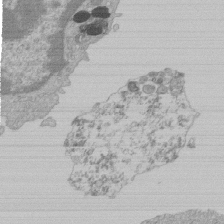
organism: Mouse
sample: Activated Pmel transgenic CD8+ T Cells